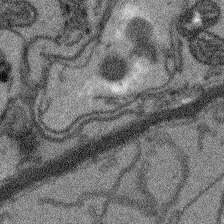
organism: Arabidopsis thaliana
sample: Root tip